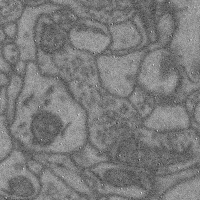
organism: Mouse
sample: Cerebral cortex